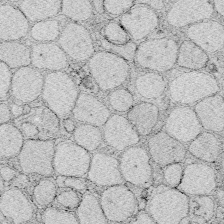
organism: Zebrafish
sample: Whole-Brain